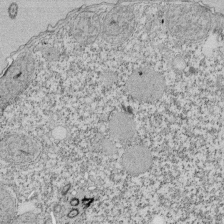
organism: Tetrahymena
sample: Cilia in tetrahymena